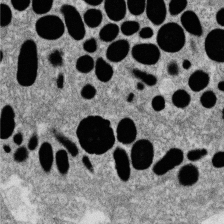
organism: Zebrafish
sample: Cilia; retinal pigment epithelium